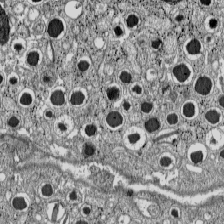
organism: C57BL Mouse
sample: Pancreatic islet